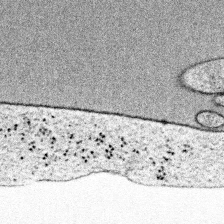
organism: Human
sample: HeLa cells